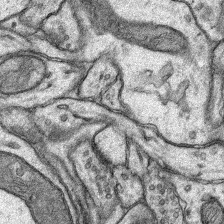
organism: Rat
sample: Hippocampus